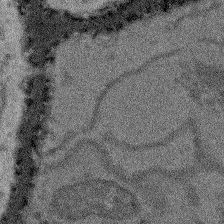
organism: Arabidopsis thaliana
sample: Root tip